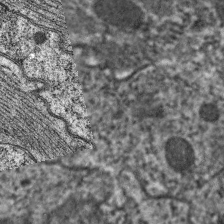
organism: C. elegans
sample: Pharynx